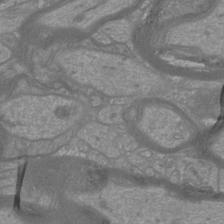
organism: Mouse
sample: Cortical neurons